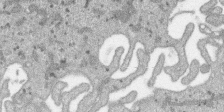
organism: Human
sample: Lung epithelial cells infected with SARS-CoV-2